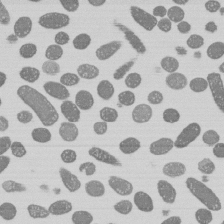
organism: E. coli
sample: Bacterial nucleoid